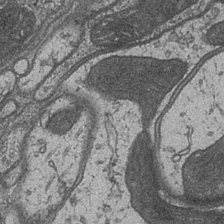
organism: Drosophila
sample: Optic medulla